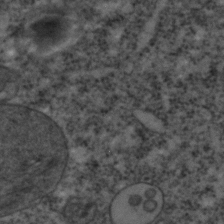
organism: C. elegans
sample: C. elegans embryo